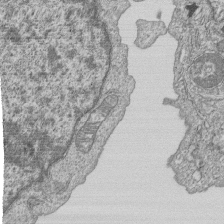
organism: Human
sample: MDA-MB-231 cells